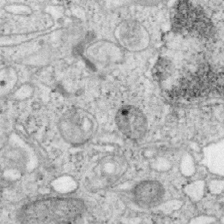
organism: Mouse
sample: OT-I killer T cells with ID8 ovarian cancer cells